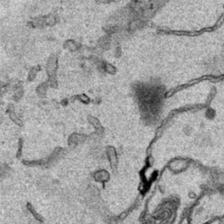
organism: Human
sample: Mitochondria in HCT116 cells